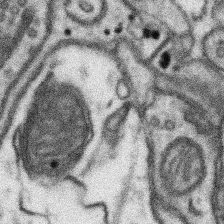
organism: Mouse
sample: Somatosensory cortex neuropil